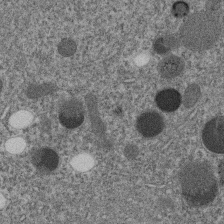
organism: C. elegans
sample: C. elegans embryo early stage